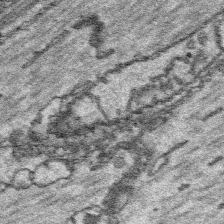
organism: Platynereis dumerilii